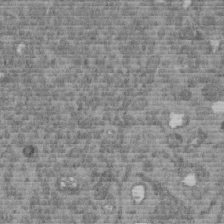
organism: C. elegans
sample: C. elegans embryo early stage